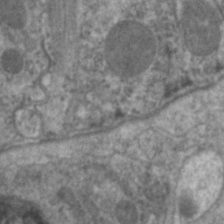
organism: C. elegans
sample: Pharynx